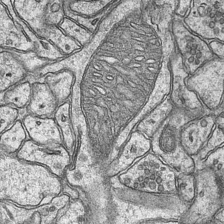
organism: Mouse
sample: CA1 Hippocampus